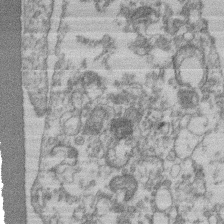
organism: Mouse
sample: T cell stromal cell synapse